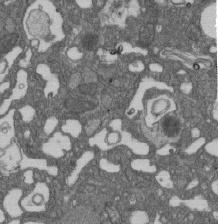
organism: Drosophila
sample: Nephrocyte